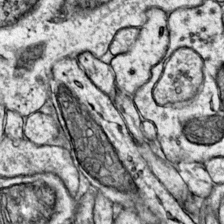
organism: Mouse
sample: Primary visual cortex